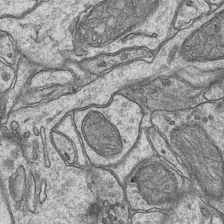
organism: Mouse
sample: CA1 Hippocampus